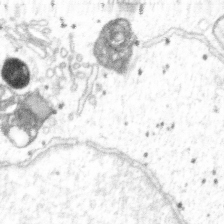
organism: Human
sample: HeLa cells